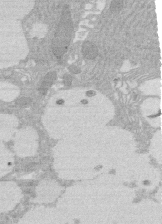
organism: Rat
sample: Salivary granule